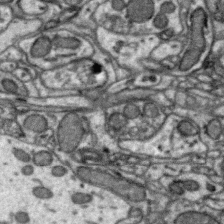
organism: Zebra finch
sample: Brain